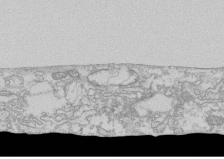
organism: Human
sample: CRL-1474